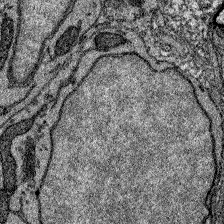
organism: Zebrafish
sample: Larval olfactory bulb